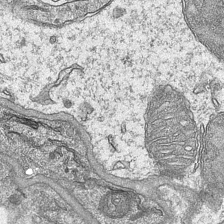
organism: Mouse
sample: CA1 Hippocampus